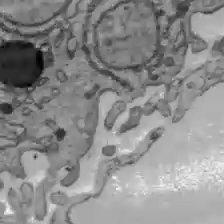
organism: C57BL Mouse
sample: Liver